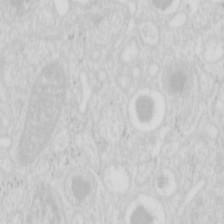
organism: Mouse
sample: Pancreas